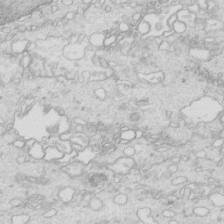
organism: Mouse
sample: Multiciliated cells